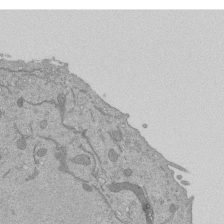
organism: Mouse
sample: ED-1 cell nuclei; centrioles